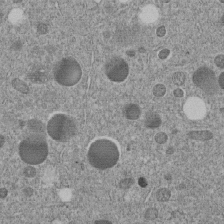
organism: C. elegans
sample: C. elegans embryo early stage